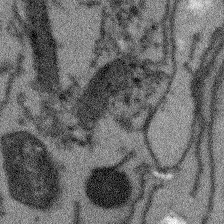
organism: Arabidopsis thaliana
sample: Root tip